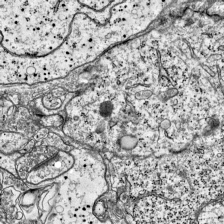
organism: Mouse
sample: Visual Cortex